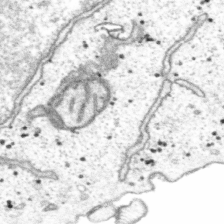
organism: Human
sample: HeLa cells